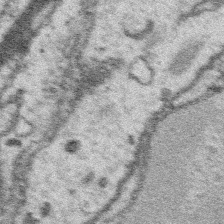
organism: Platynereis dumerilii